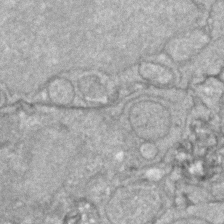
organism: Zebrafish